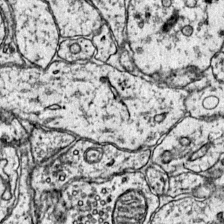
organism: Mouse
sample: Primary visual cortex